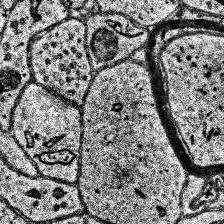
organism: Human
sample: Temporal Lobe